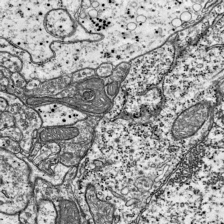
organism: Mouse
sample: Visual Cortex